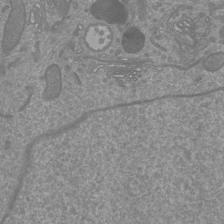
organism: Mouse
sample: Cortical neurons